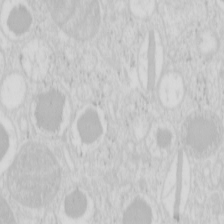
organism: Mouse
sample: Pancreas